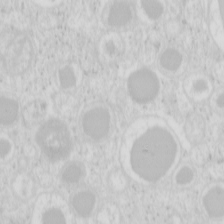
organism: Mouse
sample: Pancreas